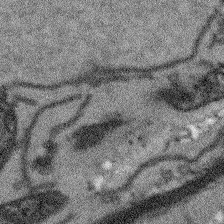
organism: Arabidopsis thaliana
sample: Root tip